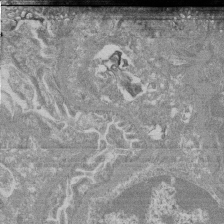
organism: Mouse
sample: Glomerulus